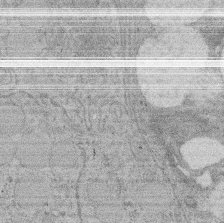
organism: Rat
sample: Salivary granule